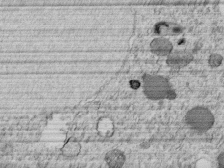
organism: C. elegans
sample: C. elegans embryo early stage